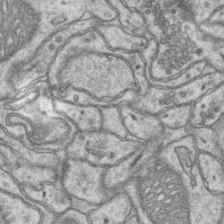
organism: Mouse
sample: CA1 Hippocampus